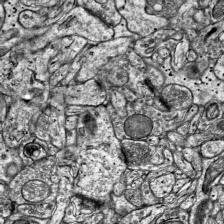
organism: Mouse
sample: Visual Cortex